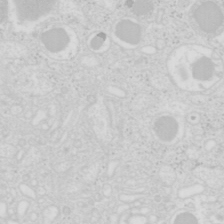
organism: Mouse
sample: Pancreas